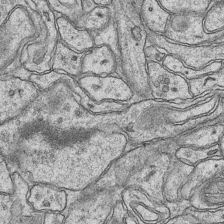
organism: Mouse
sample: CA1 Hippocampus